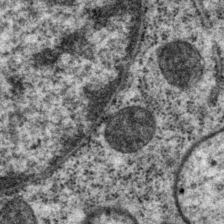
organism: P. pacificus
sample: Pharynx